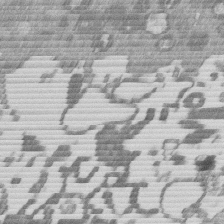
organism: Mouse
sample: Dividing mouse embryo 1 cell stage